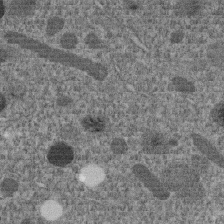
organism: C. elegans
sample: C. elegans embryo early stage